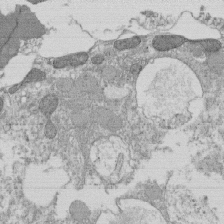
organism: Tetrahymena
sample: Cilia in tetrahymena